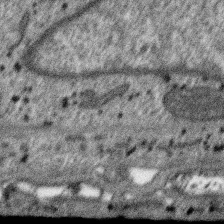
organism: Human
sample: Lung epithelial cells infected with SARS-CoV-2